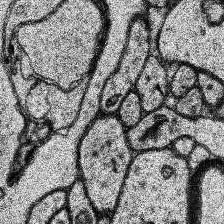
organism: Human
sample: Temporal Lobe